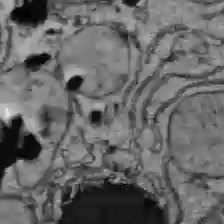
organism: C57BL Mouse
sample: Liver